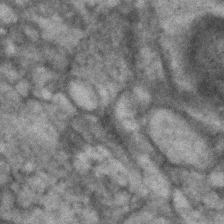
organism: Human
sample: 1205lu cells